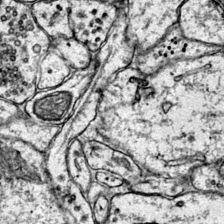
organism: Mouse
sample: Primary visual cortex